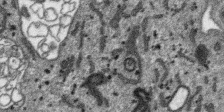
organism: Human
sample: Lung epithelial cells infected with SARS-CoV-2